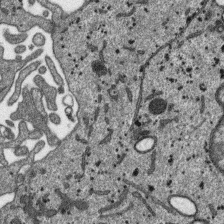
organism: Human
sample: Lung epithelial cells infected with SARS-CoV-2